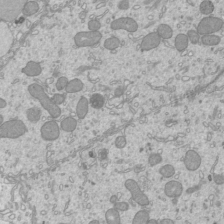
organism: Mouse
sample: Cilia; mouse epididymis